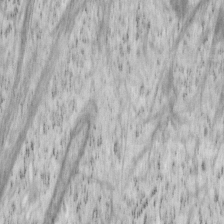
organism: Human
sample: HeLa cells